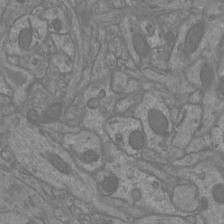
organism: Mouse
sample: Cortical neurons